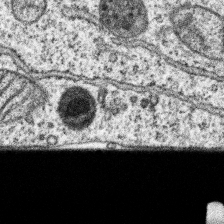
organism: Human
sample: HeLa cells